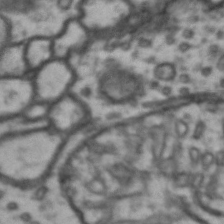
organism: Drosophila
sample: Brain